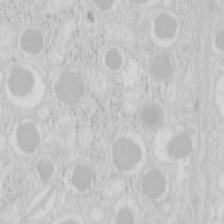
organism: Mouse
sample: Pancreas